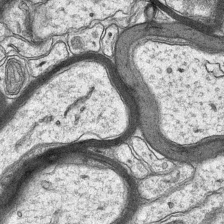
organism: Mouse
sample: CA1 Hippocampus